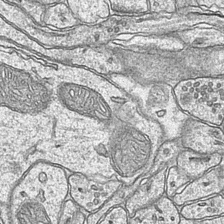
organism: Mouse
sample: CA1 Hippocampus